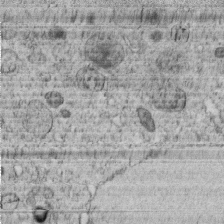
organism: C. elegans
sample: C. elegans embryo early stage